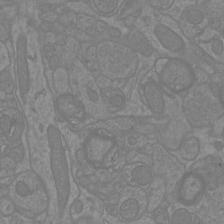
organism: Mouse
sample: Cortical neurons